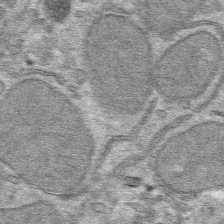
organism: Mouse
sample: Mouse hepatocytes